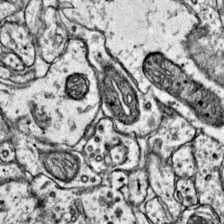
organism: Mouse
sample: Primary visual cortex